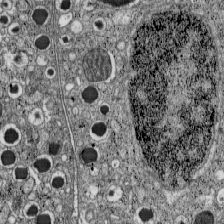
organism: C57BL Mouse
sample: Pancreatic islet